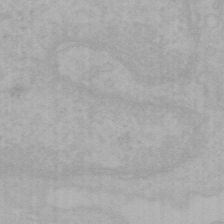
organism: Mouse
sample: Choroid plexus